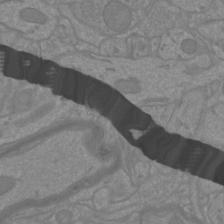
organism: Mouse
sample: Cortical neurons